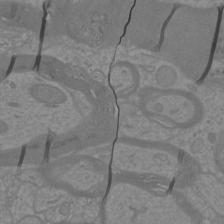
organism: Mouse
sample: Cortical neurons